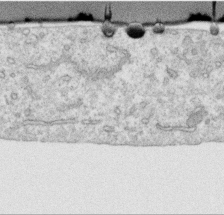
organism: Human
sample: Centriole in RPE cells